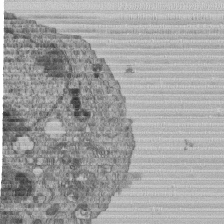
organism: Human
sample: MDA-MB-231 cells